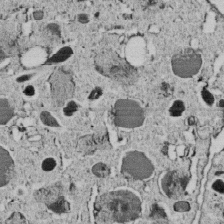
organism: C. elegans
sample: C. elegans embryo early stage